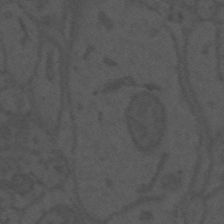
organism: Mouse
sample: Suprachiasmatic nucleus